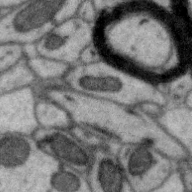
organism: Zebra finch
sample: Brain